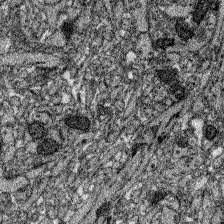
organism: Zebrafish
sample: Larval olfactory bulb